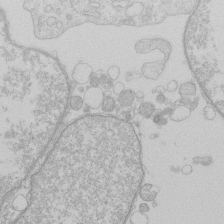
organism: Human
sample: Macrophage cells